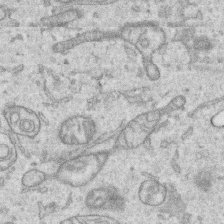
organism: Human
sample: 1205lu cells